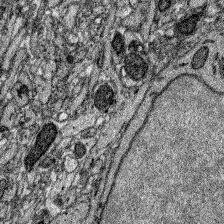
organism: Zebrafish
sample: Larval olfactory bulb